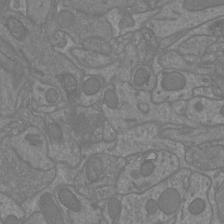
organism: Mouse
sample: Cortical neurons